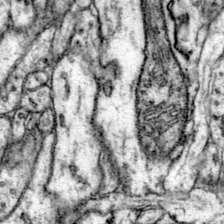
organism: Mouse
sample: Primary visual cortex